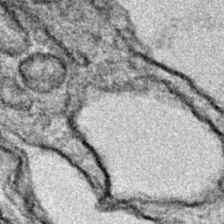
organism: Zebrafish